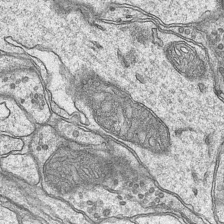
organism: Mouse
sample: CA1 Hippocampus